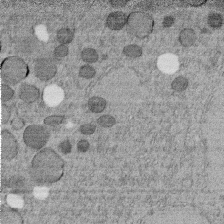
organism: C. elegans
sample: C. elegans embryo early stage